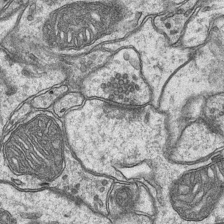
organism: Mouse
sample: CA1 Hippocampus